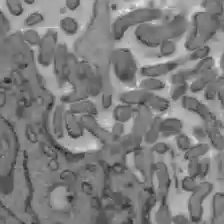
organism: C57BL Mouse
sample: Liver